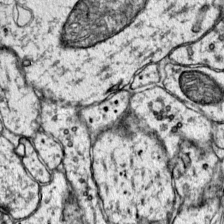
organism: Mouse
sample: Primary visual cortex